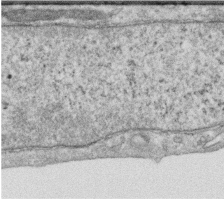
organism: Human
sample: Centriole in RPE cells